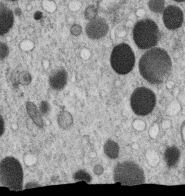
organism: C. elegans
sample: C. elegans oocyte; sperm cells